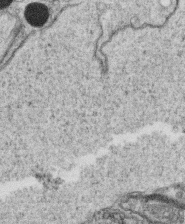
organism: C. elegans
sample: C. elegans oocyte; sperm cells